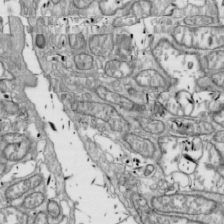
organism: Drosophila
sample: Cell division; meiosis; drosophila spermatocytes